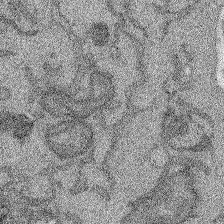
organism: Human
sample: HeLa cells